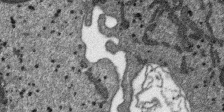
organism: Human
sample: Lung epithelial cells infected with SARS-CoV-2